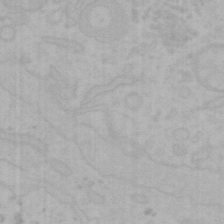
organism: Mouse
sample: Choroid plexus